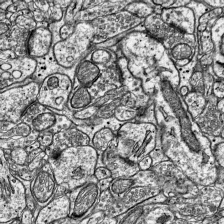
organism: Mouse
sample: Visual Cortex